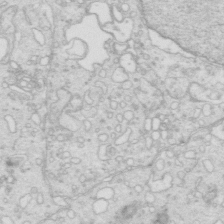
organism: Mouse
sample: Multiciliated cells